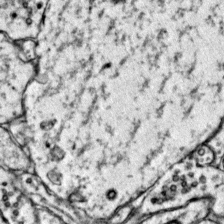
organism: Mouse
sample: Primary visual cortex